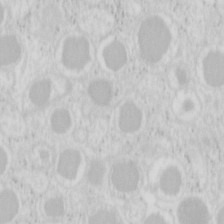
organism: Mouse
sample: Pancreas